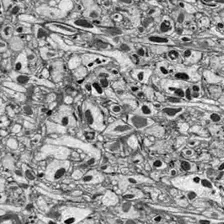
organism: Drosophila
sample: Optic lobe